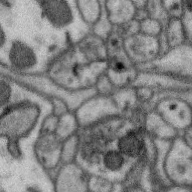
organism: Zebra finch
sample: Brain